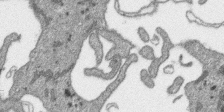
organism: Human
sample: Lung epithelial cells infected with SARS-CoV-2